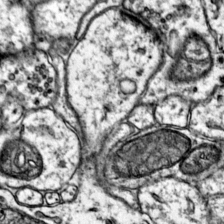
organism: Mouse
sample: Primary visual cortex